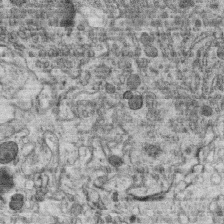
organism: C. elegans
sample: C. elegans oocyte; sperm cells